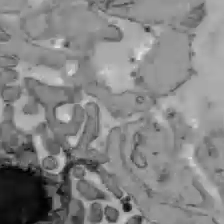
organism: C57BL Mouse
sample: Liver